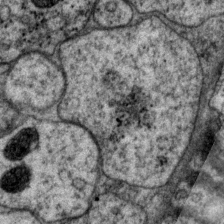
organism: P. pacificus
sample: Pharynx